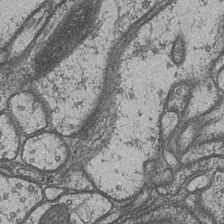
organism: Drosophila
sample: Optic medulla